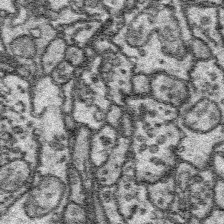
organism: Platynereis dumerilii